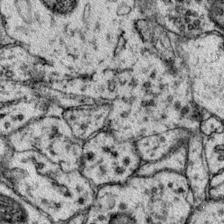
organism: Mouse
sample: Primary visual cortex